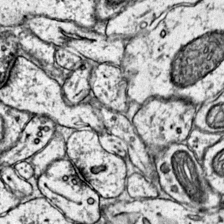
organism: Mouse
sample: Primary visual cortex